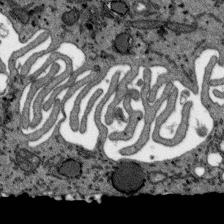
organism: Human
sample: Lung epithelial cells, uninfected (mock) control